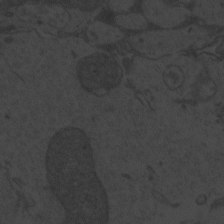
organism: Zebrafish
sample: Macrophage infected with Toxoplasma gondii